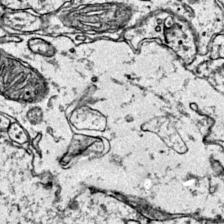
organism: Mouse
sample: Primary visual cortex